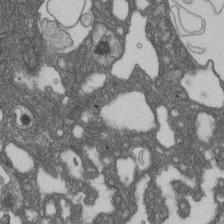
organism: Drosophila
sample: Nephrocyte